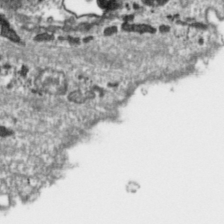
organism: Toxoplasma gondii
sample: Parasites in a vacuole inside a host cell